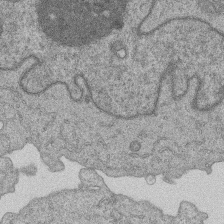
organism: Human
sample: MDA-MB-231 cells